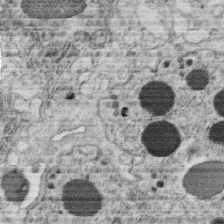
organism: C. elegans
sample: C. elegans oocyte; sperm cells